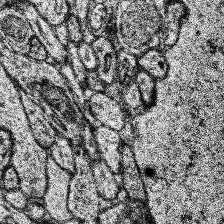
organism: Human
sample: Temporal Lobe